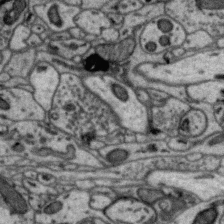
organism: Zebra finch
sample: Brain